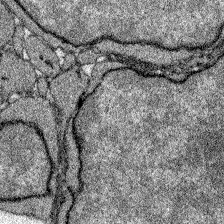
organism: Zebrafish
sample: Larval olfactory bulb